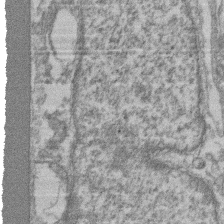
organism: Mouse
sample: T cell stromal cell synapse